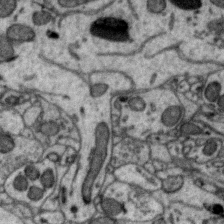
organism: Zebra finch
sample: Brain